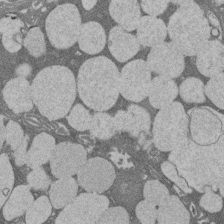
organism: Rat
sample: Salivary granule